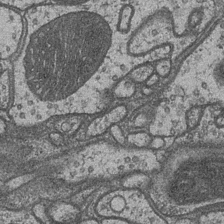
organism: Drosophila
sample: Optic medulla